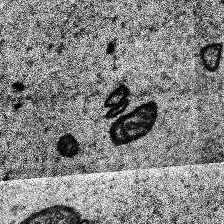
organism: Human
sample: Temporal Lobe